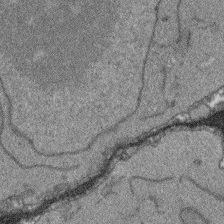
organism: Arabidopsis thaliana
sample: Root tip